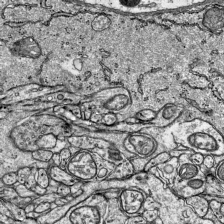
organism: Mouse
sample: Visual Cortex